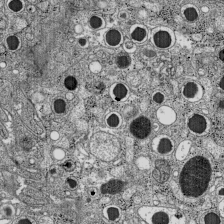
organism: C57BL Mouse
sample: Pancreatic islet